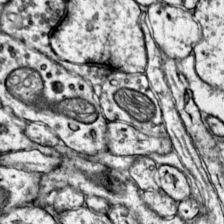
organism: Mouse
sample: Primary visual cortex